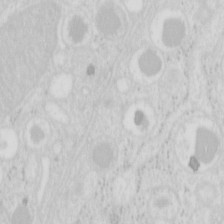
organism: Mouse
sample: Pancreas